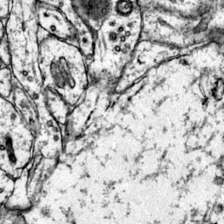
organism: Mouse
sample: Primary visual cortex